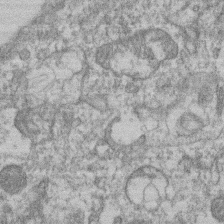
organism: Mouse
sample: T cell stromal cell synapse